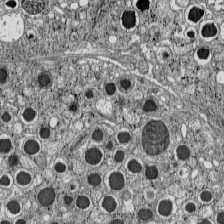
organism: C57BL Mouse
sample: Pancreatic islet